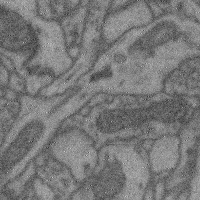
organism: Mouse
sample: Cerebral cortex